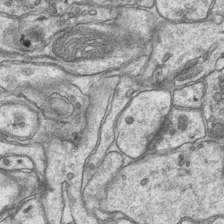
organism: Mouse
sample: CA1 Hippocampus